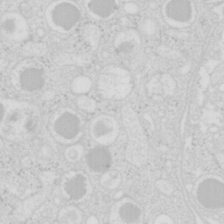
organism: Mouse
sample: Pancreas